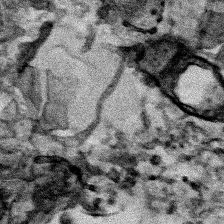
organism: Human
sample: Mitochondria in HCT116 cells